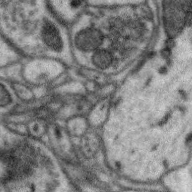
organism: Zebra finch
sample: Brain